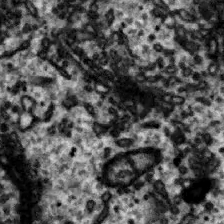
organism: Human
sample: HeLa cells